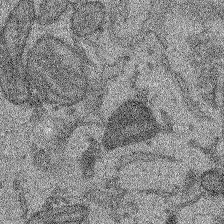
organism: Human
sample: HeLa cells